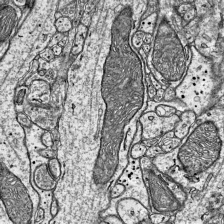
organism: Mouse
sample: Visual Cortex